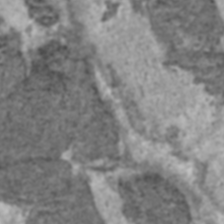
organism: C57BL Mouse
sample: Heart